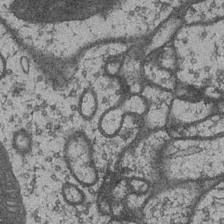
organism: Drosophila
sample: Optic medulla